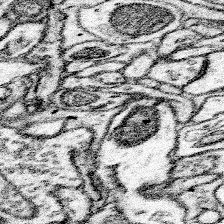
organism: Mouse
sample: Somatosensory cortex neuropil